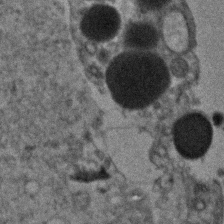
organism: Human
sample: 1205lu cells